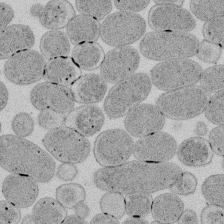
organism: E. coli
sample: Bacterial nucleoid